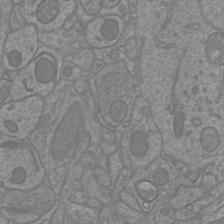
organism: Mouse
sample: Cortical neurons